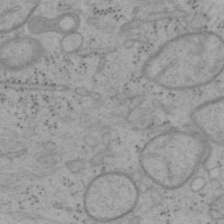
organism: Human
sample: HeLa cells